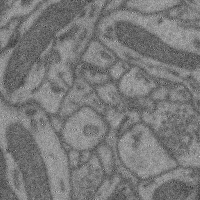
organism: Mouse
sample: Cerebral cortex